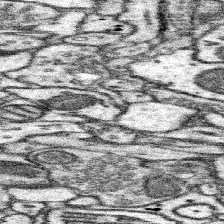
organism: Mouse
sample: Somatosensory cortex neuropil